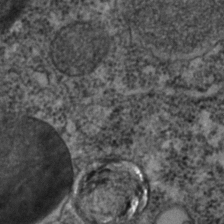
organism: C. elegans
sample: C. elegans embryo